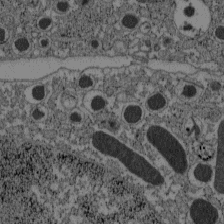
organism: C57BL Mouse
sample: Pancreatic islet